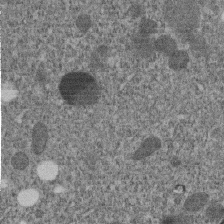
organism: C. elegans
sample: C. elegans embryo early stage